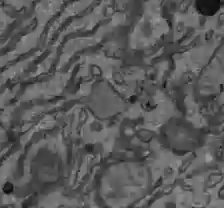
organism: C57BL Mouse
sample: Liver